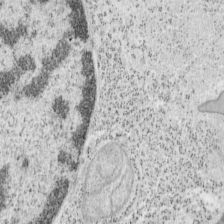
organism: Mouse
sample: OT-I killer T cells with ID8 ovarian cancer cells